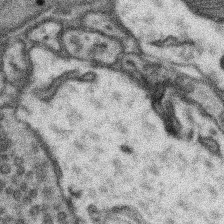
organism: Mouse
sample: Somatosensory cortex neuropil